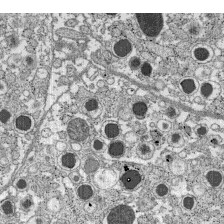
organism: C57BL Mouse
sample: Pancreatic islet